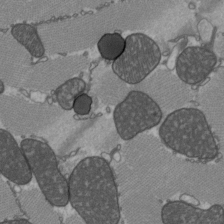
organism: C57BL Mouse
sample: Heart